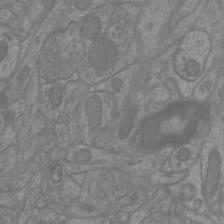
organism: Mouse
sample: Cortical neurons